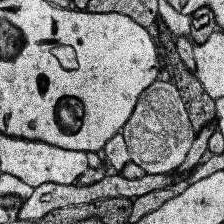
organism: Human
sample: Temporal Lobe